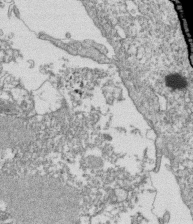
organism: Human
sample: HeLa cell HIV synapse